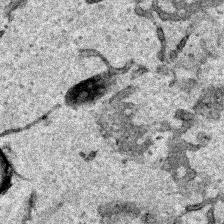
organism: Human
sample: Mitochondria in HCT116 cells